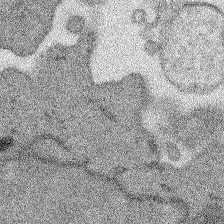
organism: Human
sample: HeLa cells